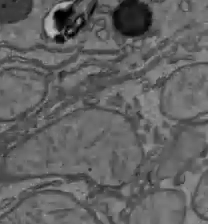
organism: C57BL Mouse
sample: Liver